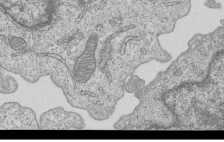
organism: Human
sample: MDA-MB-231 cells